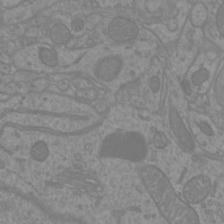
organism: Mouse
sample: Cortical neurons